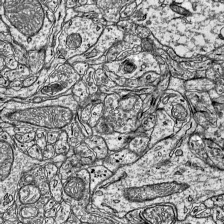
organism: Mouse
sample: Visual Cortex